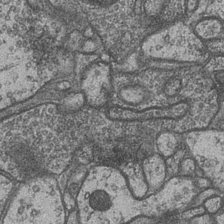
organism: Drosophila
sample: Optic medulla